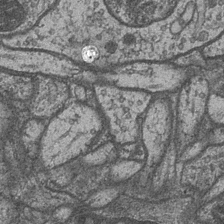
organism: Drosophila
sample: Optic medulla